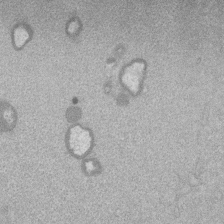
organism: Mouse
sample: Dividing mouse embryo 1 cell stage